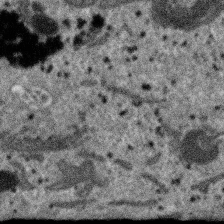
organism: Human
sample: Lung epithelial cells infected with SARS-CoV-2